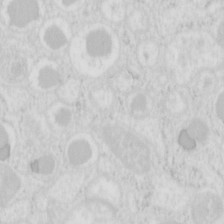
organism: Mouse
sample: Pancreas